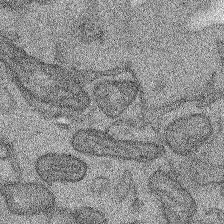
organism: Human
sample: HeLa cells